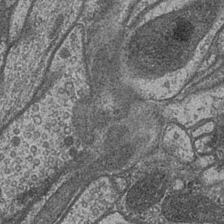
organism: Drosophila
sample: Optic medulla